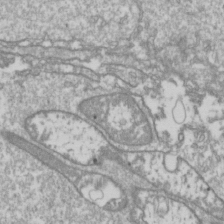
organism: Drosophila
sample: Cell division; meiosis; drosophila spermatocytes